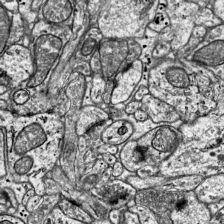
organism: Mouse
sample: Visual Cortex